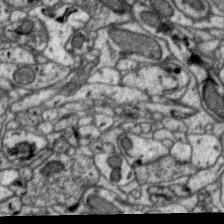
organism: Zebra finch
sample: Brain